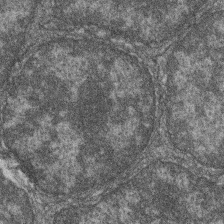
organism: Zebrafish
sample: Cilia; retinal pigment epithelium